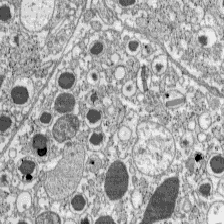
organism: C57BL Mouse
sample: Pancreatic islet